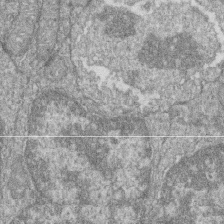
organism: Zebrafish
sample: Cilia; retinal pigment epithelium